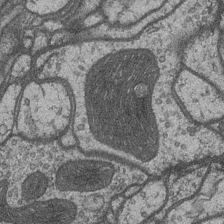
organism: Drosophila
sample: Optic medulla